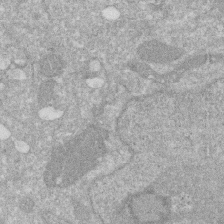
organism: Human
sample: HIV infected U937 cells